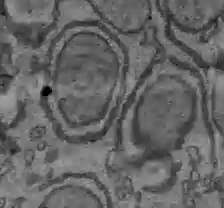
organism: C57BL Mouse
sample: Liver